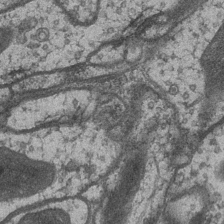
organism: Drosophila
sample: Optic medulla